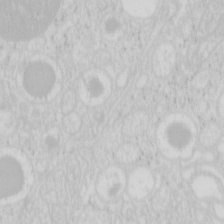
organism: Mouse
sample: Pancreas